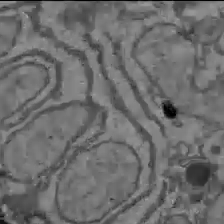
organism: C57BL Mouse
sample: Liver